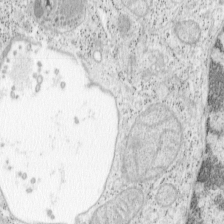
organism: Mouse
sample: OT-I killer T cells with ID8 ovarian cancer cells